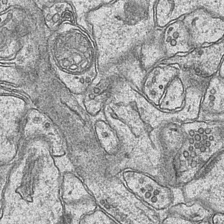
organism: Mouse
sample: CA1 Hippocampus